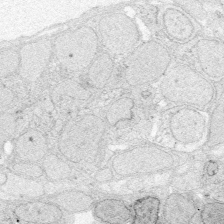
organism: Zebrafish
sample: Whole-Brain